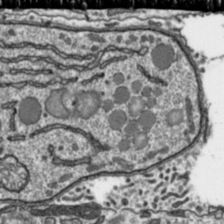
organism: Toxoplasma gondii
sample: Parasites in a vacuole inside a host cell